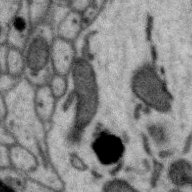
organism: Zebra finch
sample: Brain